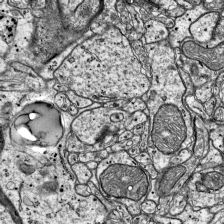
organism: Mouse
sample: Visual Cortex